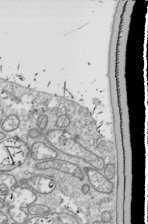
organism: Drosophila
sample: Cell division; meiosis; drosophila spermatocytes